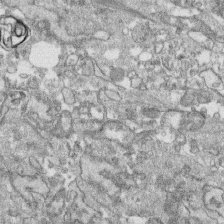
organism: Human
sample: CRL-1474